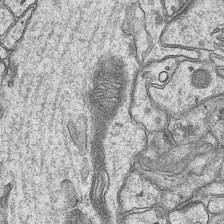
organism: Mouse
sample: CA1 Hippocampus